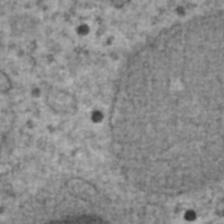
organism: Human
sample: Blood